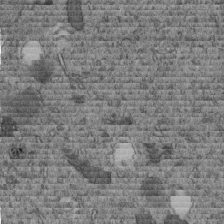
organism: C. elegans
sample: C. elegans embryo early stage